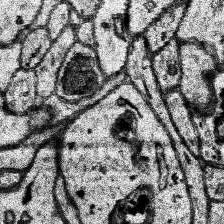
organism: Human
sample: Temporal Lobe